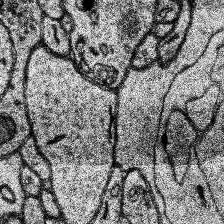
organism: Human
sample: Temporal Lobe